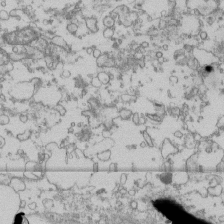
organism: Human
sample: Fibroblast cells